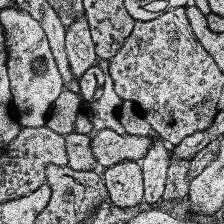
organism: Human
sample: Temporal Lobe